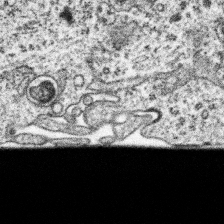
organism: Human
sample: HeLa cells